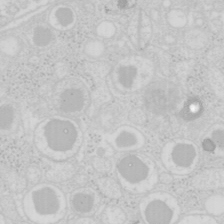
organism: Mouse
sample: Pancreas